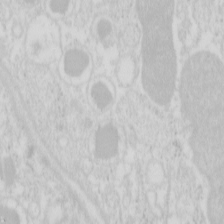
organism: Mouse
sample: Pancreas